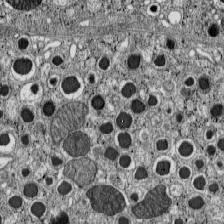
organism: C57BL Mouse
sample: Pancreatic islet